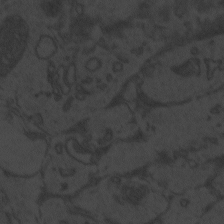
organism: Zebrafish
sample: Macrophage infected with Toxoplasma gondii